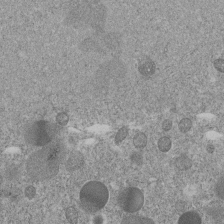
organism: C. elegans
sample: C. elegans embryo early stage